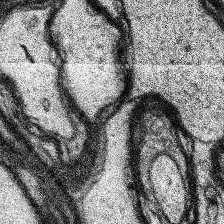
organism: Human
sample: Temporal Lobe